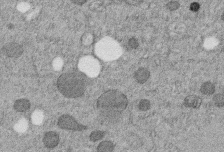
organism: C. elegans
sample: C. elegans embryo early stage